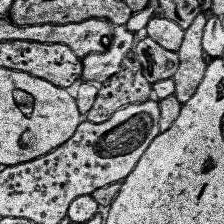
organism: Human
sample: Temporal Lobe